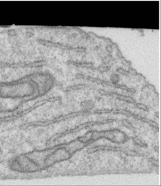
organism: Human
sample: Centriole in RPE cells